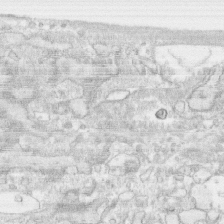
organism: Human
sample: CRL-1474